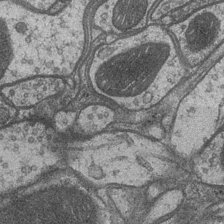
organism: Drosophila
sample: Optic medulla